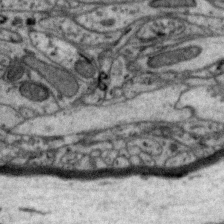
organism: Zebra finch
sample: Brain